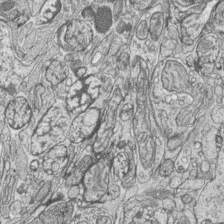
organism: Zebrafish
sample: synaptic ribbons in rod cells and cone cells